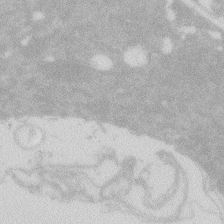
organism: Zebrafish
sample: Macrophage